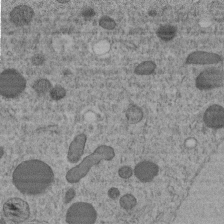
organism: C. elegans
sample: C. elegans embryo early stage